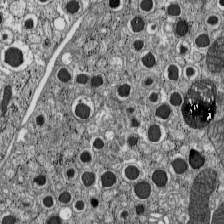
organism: C57BL Mouse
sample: Pancreatic islet